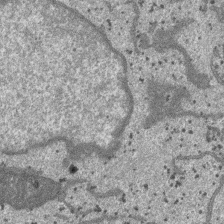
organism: Human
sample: Lung epithelial cells infected with SARS-CoV-2